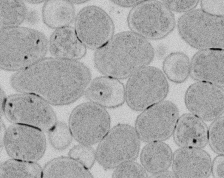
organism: E. coli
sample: Bacterial nucleoid